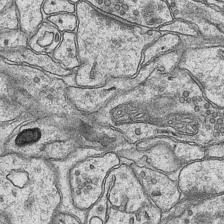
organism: Mouse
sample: CA1 Hippocampus